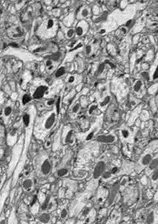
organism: Drosophila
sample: Optic lobe